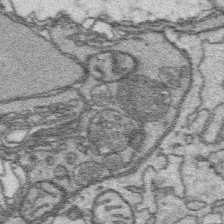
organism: Platynereis dumerilii